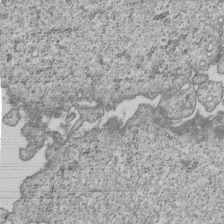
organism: Human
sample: MDA-MB-231 cells